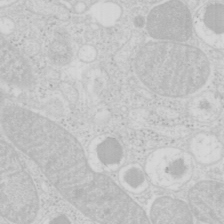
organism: Mouse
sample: Pancreas